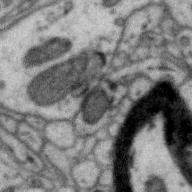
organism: Zebra finch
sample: Brain